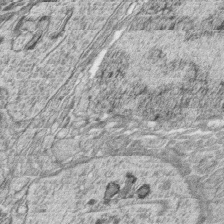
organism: Zebrafish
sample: synaptic ribbons in rod cells and cone cells